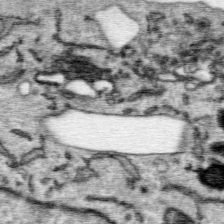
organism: Human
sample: HeLa cells